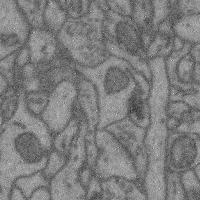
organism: Mouse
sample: Cerebral cortex